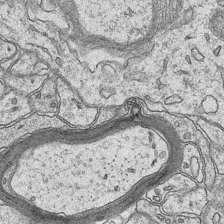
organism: Mouse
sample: CA1 Hippocampus